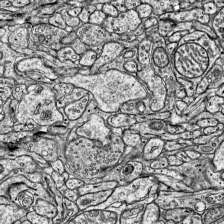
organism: Mouse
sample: Visual Cortex